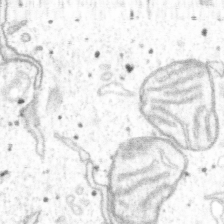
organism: Human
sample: HeLa cells